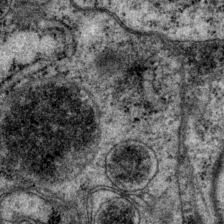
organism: P. pacificus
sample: Pharynx